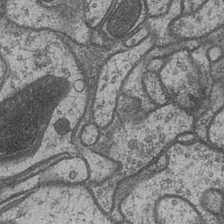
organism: Drosophila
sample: Optic medulla